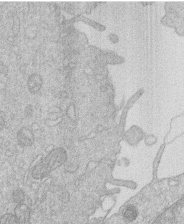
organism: Human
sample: Macrophage cells